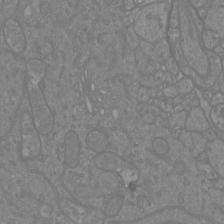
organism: Mouse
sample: Cortical neurons